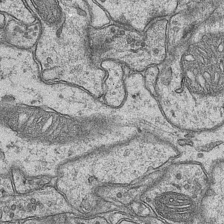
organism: Mouse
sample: CA1 Hippocampus